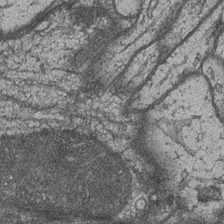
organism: Drosophila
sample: Optic medulla